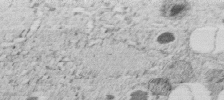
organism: C. elegans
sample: C. elegans embryo early stage